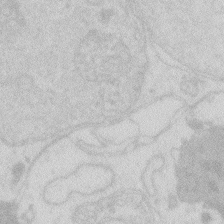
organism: Zebrafish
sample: Macrophage